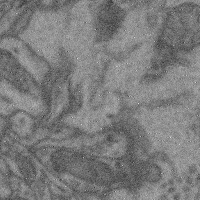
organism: Mouse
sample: Cerebral cortex